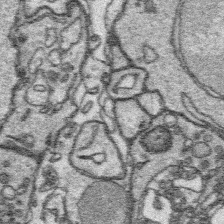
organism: Platynereis dumerilii